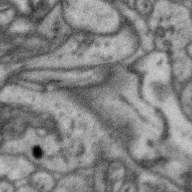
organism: Zebra finch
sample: Brain